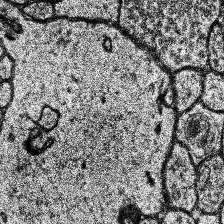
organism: Human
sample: Temporal Lobe